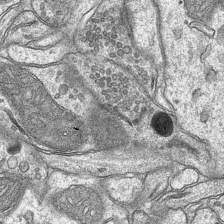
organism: Mouse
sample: CA1 Hippocampus